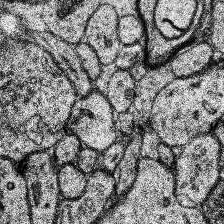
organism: Human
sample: Temporal Lobe